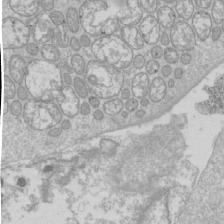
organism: Drosophila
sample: Cell division; meiosis; drosophila spermatocytes